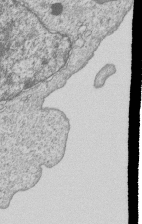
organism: Human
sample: MDA-MB-231 cells